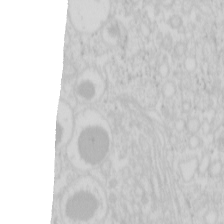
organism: Mouse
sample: Pancreas